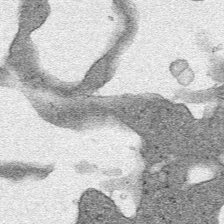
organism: Human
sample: Mitochondria in HCT116 cells